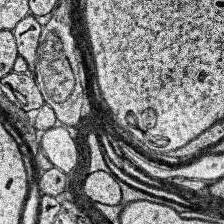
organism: Human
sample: Temporal Lobe